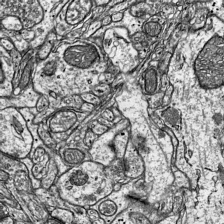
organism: Mouse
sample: Visual Cortex